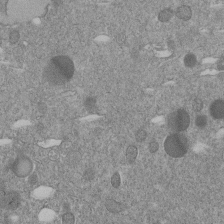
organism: C. elegans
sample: C. elegans embryo early stage